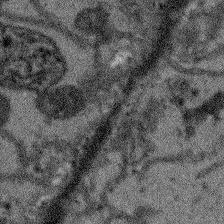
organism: Arabidopsis thaliana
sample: Root tip